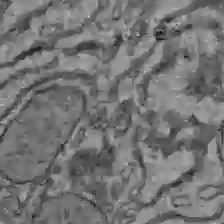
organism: C57BL Mouse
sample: Liver